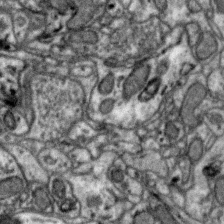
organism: Zebra finch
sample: Brain